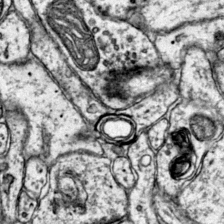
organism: Mouse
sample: Primary visual cortex